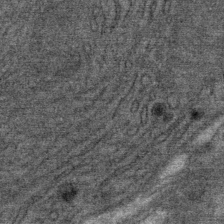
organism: Mouse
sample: Mouse Salivary gland